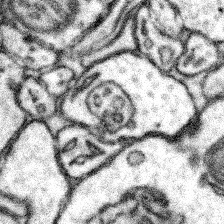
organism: Mouse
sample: Somatosensory cortex neuropil